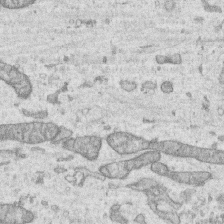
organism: Human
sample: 1205lu cells